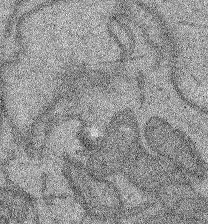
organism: Human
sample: HeLa cells